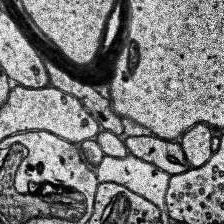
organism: Human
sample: Temporal Lobe